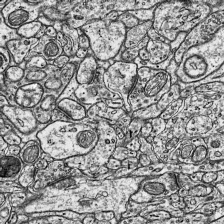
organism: Mouse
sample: Visual Cortex